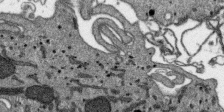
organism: Human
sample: Lung epithelial cells, uninfected (mock) control